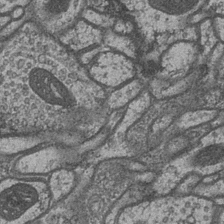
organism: Drosophila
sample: Optic medulla